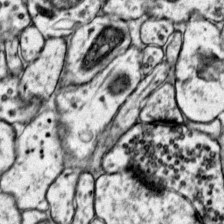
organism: Mouse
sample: Primary visual cortex